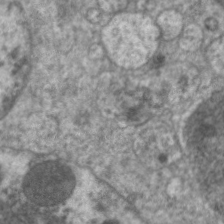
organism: C. elegans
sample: Pharynx